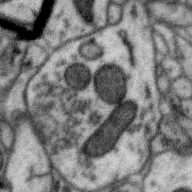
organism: Zebra finch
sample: Brain